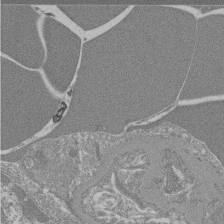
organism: Mouse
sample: Glomerulus